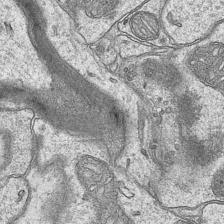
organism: Mouse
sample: CA1 Hippocampus